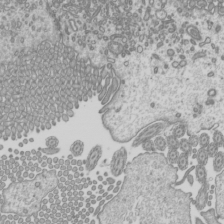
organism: Mouse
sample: Cilia; mouse epididymis